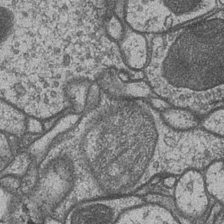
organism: Drosophila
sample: Optic medulla